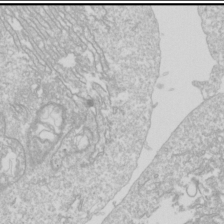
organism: Drosophila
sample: Cell division; meiosis; drosophila spermatocytes